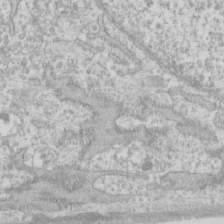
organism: Human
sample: Fibroblast cells